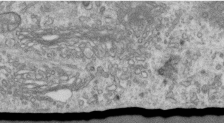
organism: Human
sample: Centriole in RPE cells